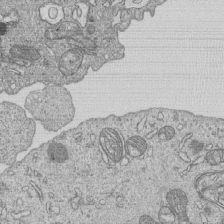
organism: Human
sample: MDA-MB-231 cells